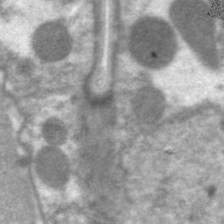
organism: C. elegans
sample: Pharynx